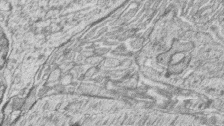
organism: Zebrafish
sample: synaptic ribbons in rod cells and cone cells